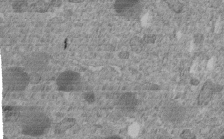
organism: C. elegans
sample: C. elegans embryo early stage